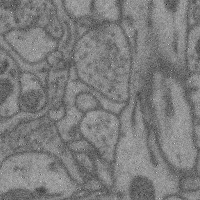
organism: Mouse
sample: Cerebral cortex